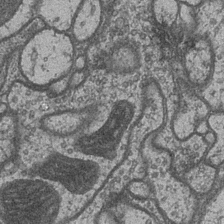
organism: Drosophila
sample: Optic medulla